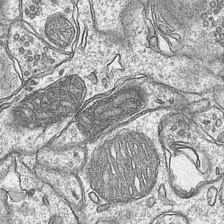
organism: Mouse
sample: CA1 Hippocampus